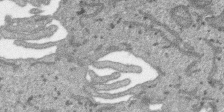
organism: Human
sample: Lung epithelial cells infected with SARS-CoV-2